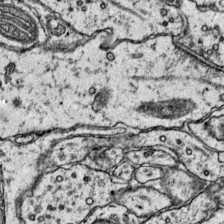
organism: Mouse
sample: Primary visual cortex